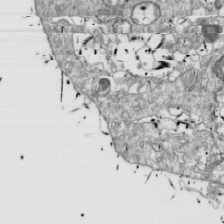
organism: Drosophila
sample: Cell division; meiosis; drosophila spermatocytes